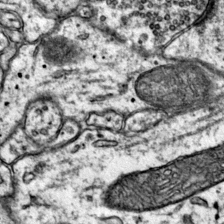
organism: Mouse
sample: Primary visual cortex